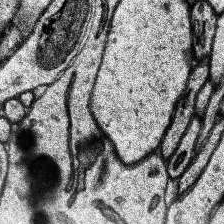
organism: Human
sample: Temporal Lobe